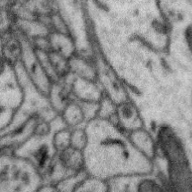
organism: Zebra finch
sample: Brain